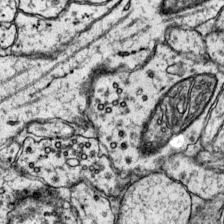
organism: Mouse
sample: Primary visual cortex